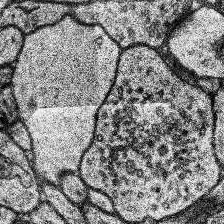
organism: Human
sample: Temporal Lobe